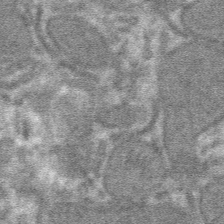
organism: Mouse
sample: Mouse hepatocytes